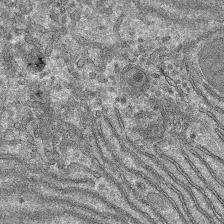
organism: Mouse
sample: Mouse hepatocytes